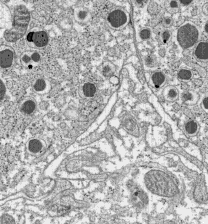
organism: C57BL Mouse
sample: Pancreatic islet